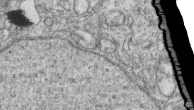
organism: Human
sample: HeLa cell HIV synapse